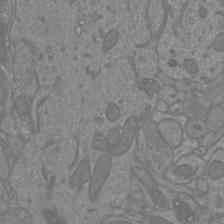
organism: Mouse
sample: Cortical neurons